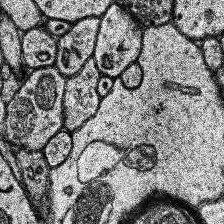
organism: Human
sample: Temporal Lobe